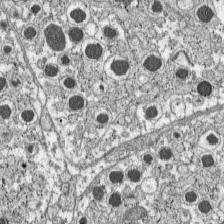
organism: C57BL Mouse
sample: Pancreatic islet